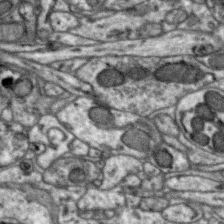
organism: Zebra finch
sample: Brain